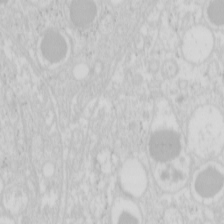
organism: Mouse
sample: Pancreas